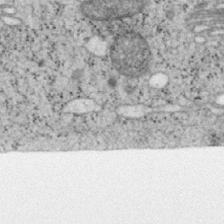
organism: Mouse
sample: OT-I killer T cells with ID8 ovarian cancer cells